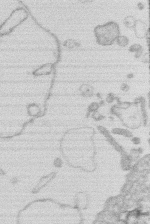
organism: Human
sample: Macrophage cells